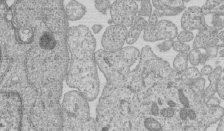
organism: Human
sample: MDA-MB-231 cells